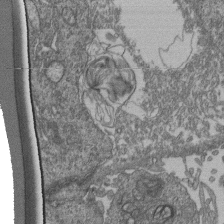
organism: Human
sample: Retinal organoid Rod and Cone cells